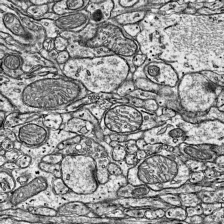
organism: Mouse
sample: Visual Cortex